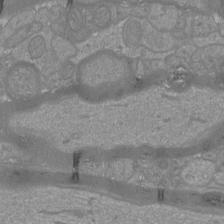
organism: Mouse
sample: Cortical neurons